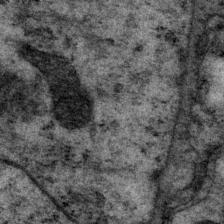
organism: P. pacificus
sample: Pharynx